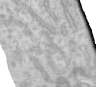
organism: Human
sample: Centriole in RPE cells